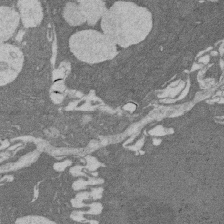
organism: Rat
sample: Salivary granule